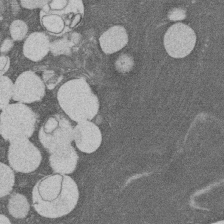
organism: Rat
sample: Salivary granule